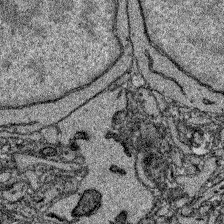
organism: Zebrafish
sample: Larval olfactory bulb